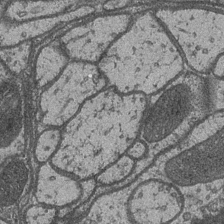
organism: Drosophila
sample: Optic medulla